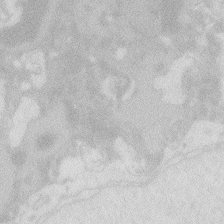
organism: Zebrafish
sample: Macrophage